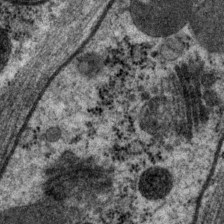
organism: P. pacificus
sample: Pharynx